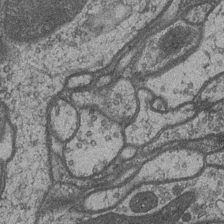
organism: Drosophila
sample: Optic medulla